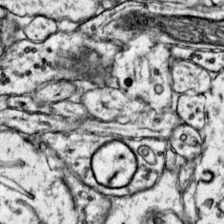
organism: Mouse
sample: Primary visual cortex